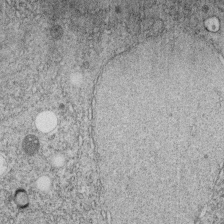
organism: C. elegans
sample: C. elegans embryo early stage